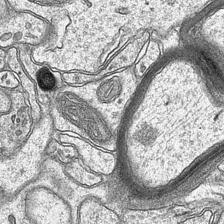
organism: Mouse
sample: CA1 Hippocampus